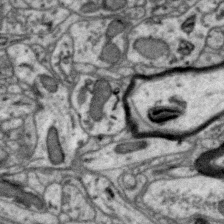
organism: Zebra finch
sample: Brain